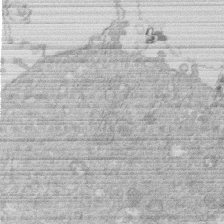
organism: Human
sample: Macrophage cells